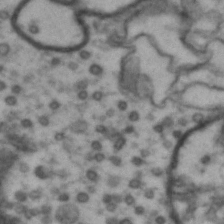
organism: Drosophila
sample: Brain